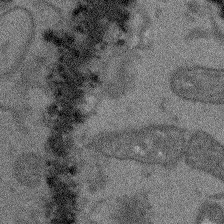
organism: Arabidopsis thaliana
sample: Root tip